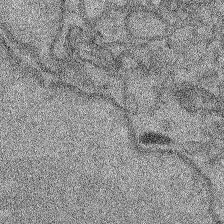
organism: Human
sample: HeLa cells